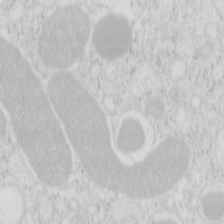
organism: Mouse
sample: Pancreas